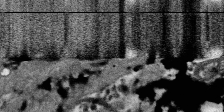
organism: Human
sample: Lung epithelial cells, uninfected (mock) control